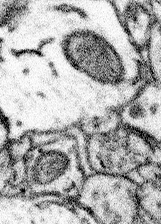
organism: Mouse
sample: Somatosensory cortex neuropil